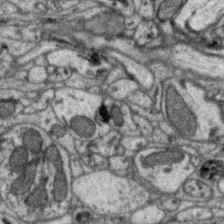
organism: Zebra finch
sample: Brain